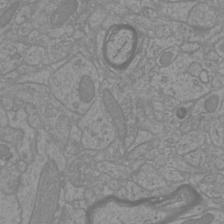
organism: Mouse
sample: Cortical neurons